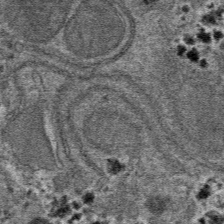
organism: Mouse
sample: Mouse hepatocytes